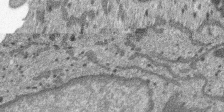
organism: Human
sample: Lung epithelial cells infected with SARS-CoV-2